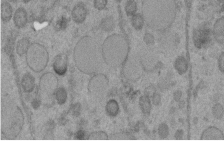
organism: C. elegans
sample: C. elegans embryo early stage